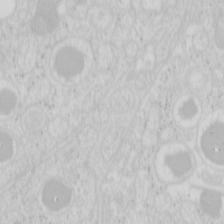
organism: Mouse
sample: Pancreas